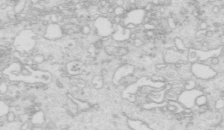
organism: Mouse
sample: Multiciliated cells